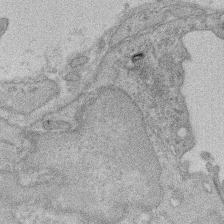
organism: Rat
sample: Salivary granule